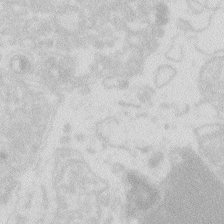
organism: Zebrafish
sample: Macrophage